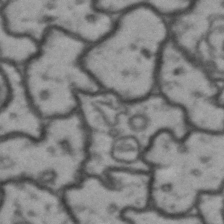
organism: Drosophila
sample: Brain